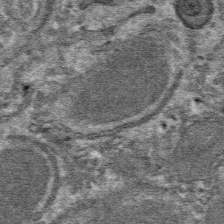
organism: Mouse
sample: Mouse hepatocytes